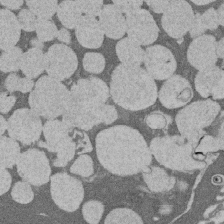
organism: Rat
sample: Salivary granule